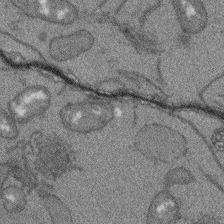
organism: Arabidopsis thaliana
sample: Root tip